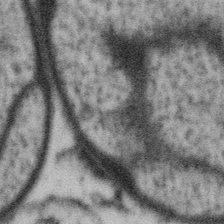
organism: Gemmata obscuriglobus